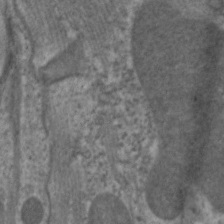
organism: C. elegans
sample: Pharynx